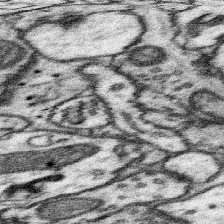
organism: Mouse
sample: Somatosensory cortex neuropil